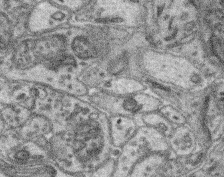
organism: Mouse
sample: Retina